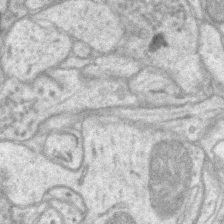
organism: Mouse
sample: CA1 Hippocampus